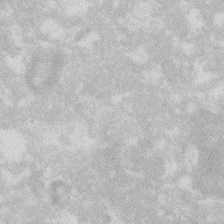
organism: Zebrafish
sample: Macrophage